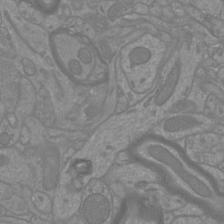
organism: Mouse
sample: Cortical neurons